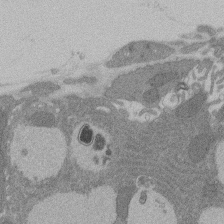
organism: Rat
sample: Salivary granule